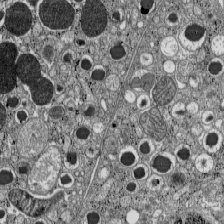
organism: C57BL Mouse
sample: Pancreatic islet